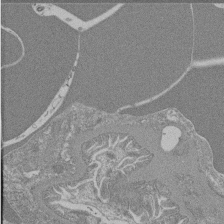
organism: Mouse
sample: Glomerulus